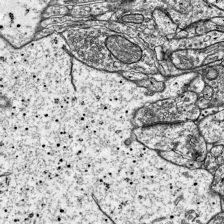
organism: Mouse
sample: Visual Cortex